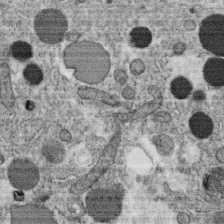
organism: C. elegans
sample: C. elegans oocyte; sperm cells